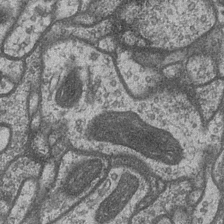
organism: Drosophila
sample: Optic medulla